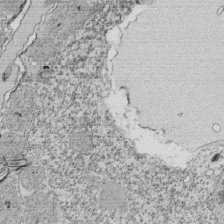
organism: Tetrahymena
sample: Cilia in tetrahymena